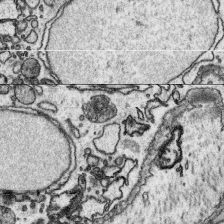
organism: Platynereis dumerilii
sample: Parapodia